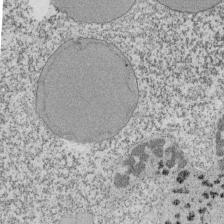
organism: Tetrahymena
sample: Cilia in tetrahymena